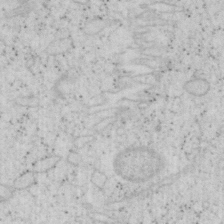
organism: Human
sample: HeLa cells